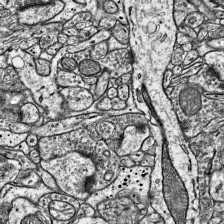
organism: Mouse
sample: Visual Cortex